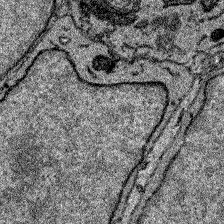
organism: Zebrafish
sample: Larval olfactory bulb